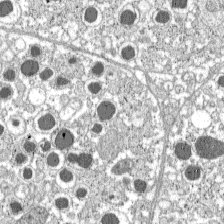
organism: C57BL Mouse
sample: Pancreatic islet